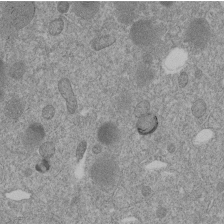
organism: C. elegans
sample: C. elegans embryo early stage